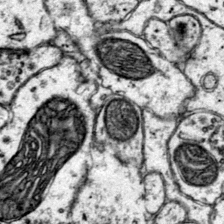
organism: Mouse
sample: Primary visual cortex